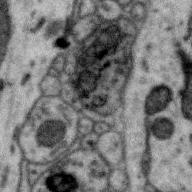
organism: Zebra finch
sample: Brain